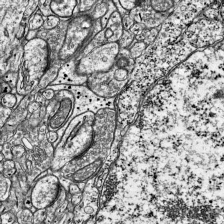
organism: Mouse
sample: Visual Cortex